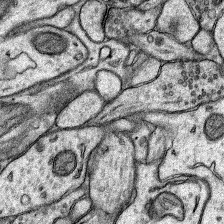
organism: Rat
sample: Hippocampus